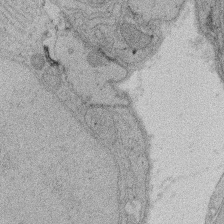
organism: Rat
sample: Salivary granule